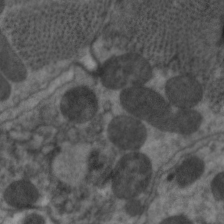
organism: C. elegans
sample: Pharynx